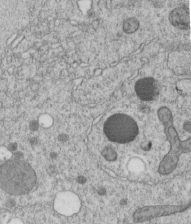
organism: C. elegans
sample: C. elegans embryo early stage